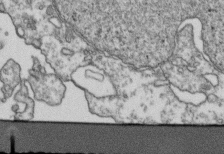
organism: Human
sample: Activated Jurkat CD4+ T cells